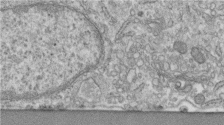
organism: Human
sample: Centriole in fibroblast cells